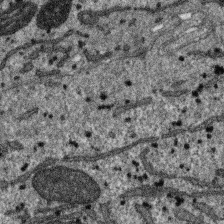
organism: Human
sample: Lung epithelial cells infected with SARS-CoV-2